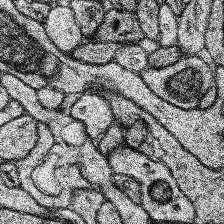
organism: Human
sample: Temporal Lobe